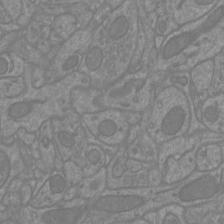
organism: Mouse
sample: Cortical neurons